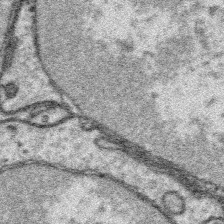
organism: Platynereis dumerilii